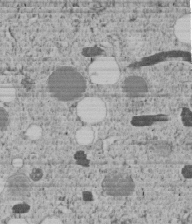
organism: C. elegans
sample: C. elegans embryo early stage